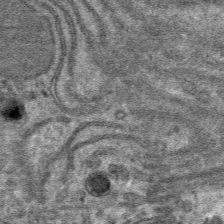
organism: Mouse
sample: Mouse hepatocytes